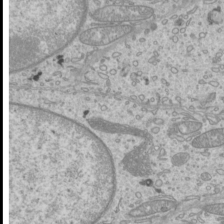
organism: Mouse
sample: Cilia; mouse epididymis